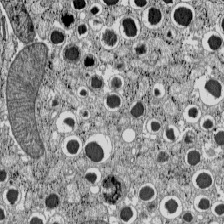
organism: C57BL Mouse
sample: Pancreatic islet